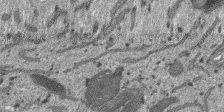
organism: Human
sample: Lung epithelial cells infected with SARS-CoV-2